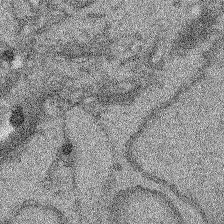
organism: Human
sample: HeLa cells